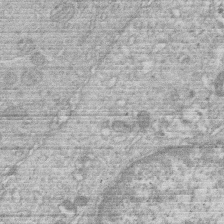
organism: Human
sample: Macrophage cells